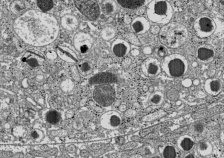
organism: C57BL Mouse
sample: Pancreatic islet